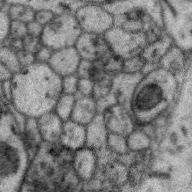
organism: Zebra finch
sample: Brain